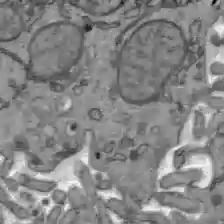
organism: C57BL Mouse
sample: Liver